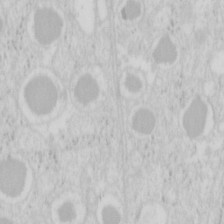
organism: Mouse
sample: Pancreas